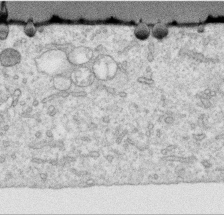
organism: Human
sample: Centriole in RPE cells